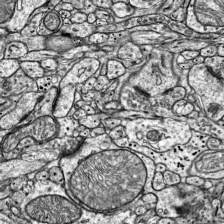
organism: Mouse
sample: Visual Cortex